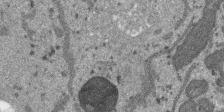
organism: Human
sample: Lung epithelial cells infected with SARS-CoV-2